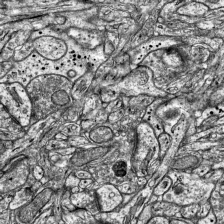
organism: Mouse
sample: Visual Cortex